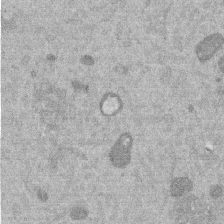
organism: Mouse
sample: Dividing mouse embryo 1 cell stage